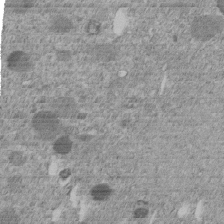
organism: C. elegans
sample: C. elegans embryo early stage